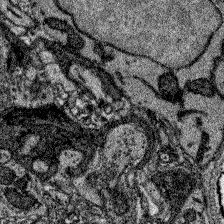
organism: Zebrafish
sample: Larval olfactory bulb